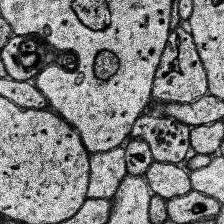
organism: Human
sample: Temporal Lobe